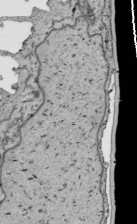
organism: Human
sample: Mitochondria in HCT116 cells